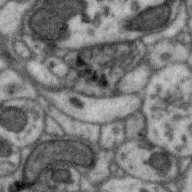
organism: Zebra finch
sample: Brain